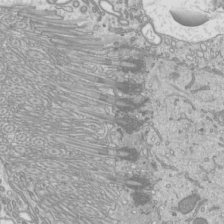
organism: Mouse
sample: Cilia; mouse epididymis